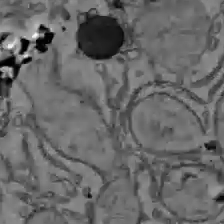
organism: C57BL Mouse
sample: Liver